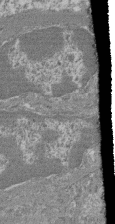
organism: Mouse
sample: Glomerulus